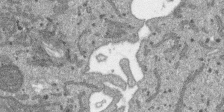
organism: Human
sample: Lung epithelial cells infected with SARS-CoV-2